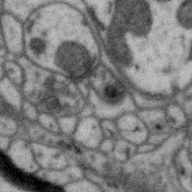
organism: Zebra finch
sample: Brain